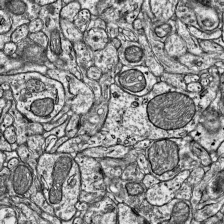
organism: Mouse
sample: Visual Cortex